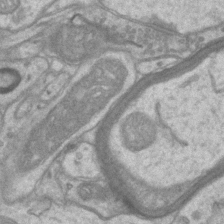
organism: Mouse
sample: CA1 Hippocampus